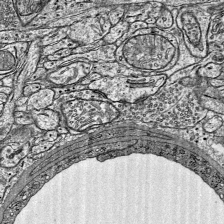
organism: Mouse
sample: Visual Cortex